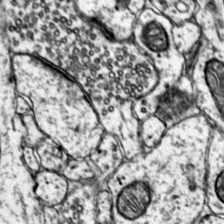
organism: Mouse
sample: Primary visual cortex